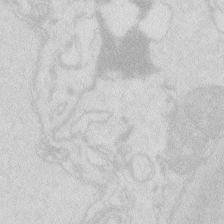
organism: Zebrafish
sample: Macrophage